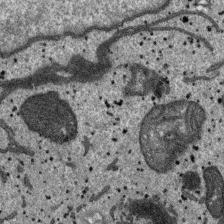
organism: Human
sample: Lung epithelial cells, uninfected (mock) control